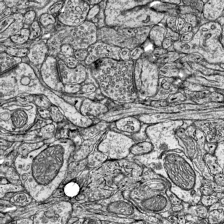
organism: Mouse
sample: Visual Cortex